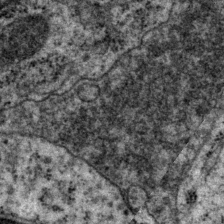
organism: P. pacificus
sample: Pharynx